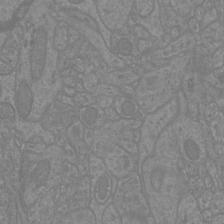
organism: Mouse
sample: Cortical neurons